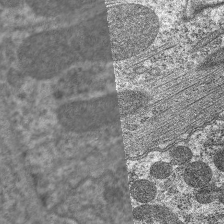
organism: C. elegans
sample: Pharynx